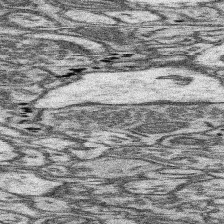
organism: Mouse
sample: Somatosensory cortex neuropil